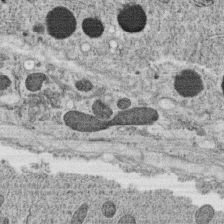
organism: C. elegans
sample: C. elegans oocyte; sperm cells